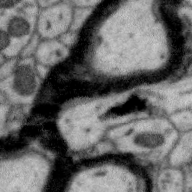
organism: Zebra finch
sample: Brain